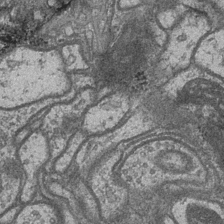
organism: Drosophila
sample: Optic medulla